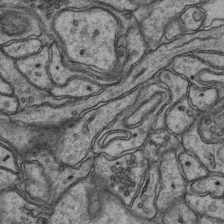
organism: Mouse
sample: CA1 Hippocampus